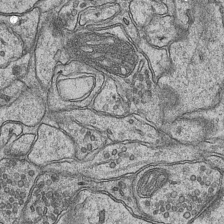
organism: Mouse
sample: CA1 Hippocampus